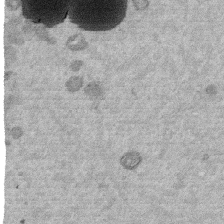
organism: Mouse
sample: Dividing mouse embryo 1 cell stage